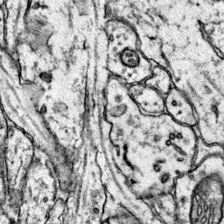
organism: Mouse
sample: Primary visual cortex